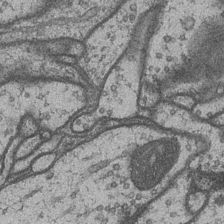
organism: Drosophila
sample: Optic medulla